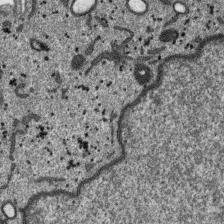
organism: Human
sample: Lung epithelial cells infected with SARS-CoV-2